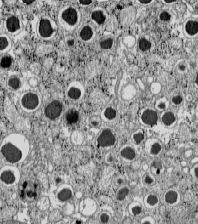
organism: C57BL Mouse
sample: Pancreatic islet